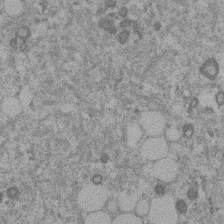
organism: Mouse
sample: Dividing mouse embryo 1 cell stage